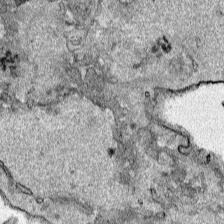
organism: Human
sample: Mitochondria in HCT116 cells